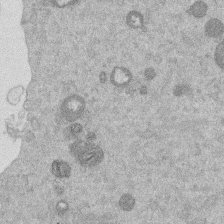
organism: Mouse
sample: Dividing mouse embryo 1 cell stage